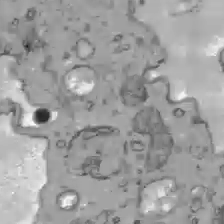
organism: C57BL Mouse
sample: Liver